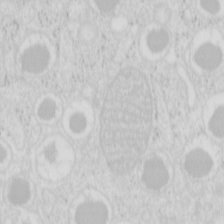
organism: Mouse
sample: Pancreas